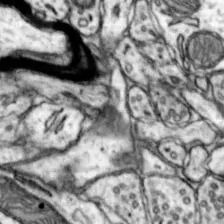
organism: Mouse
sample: Nucleus accumbens